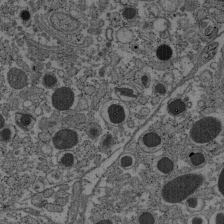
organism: C57BL Mouse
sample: Pancreatic islet